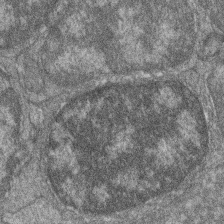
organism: Zebrafish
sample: Cilia; retinal pigment epithelium